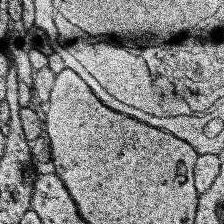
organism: Human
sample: Temporal Lobe